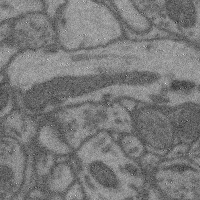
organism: Mouse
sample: Cerebral cortex